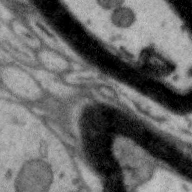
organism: Zebra finch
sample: Brain